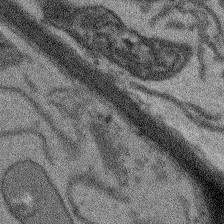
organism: Arabidopsis thaliana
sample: Root tip